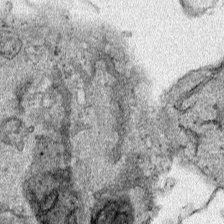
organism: Human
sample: Mitochondria in HCT116 cells